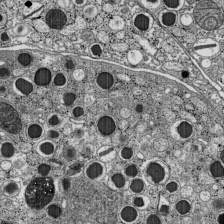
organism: C57BL Mouse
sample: Pancreatic islet